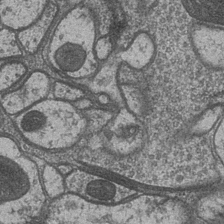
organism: Drosophila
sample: Optic medulla